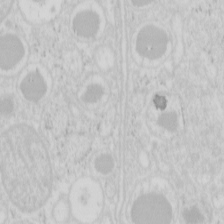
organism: Mouse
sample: Pancreas